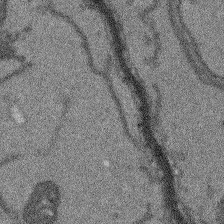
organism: Arabidopsis thaliana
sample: Root tip